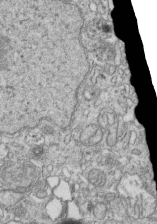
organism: Human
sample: HeLa cell HIV synapse